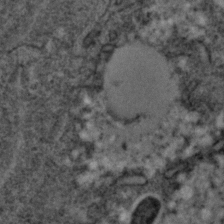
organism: C. elegans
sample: C. elegans embryo